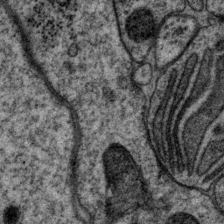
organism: P. pacificus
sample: Pharynx